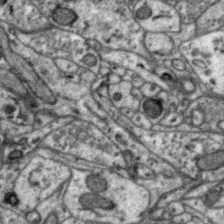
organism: Zebra finch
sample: Brain